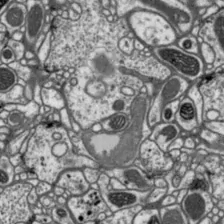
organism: Drosophila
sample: Protocerebral bridge